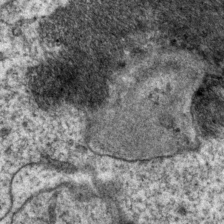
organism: P. pacificus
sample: Pharynx